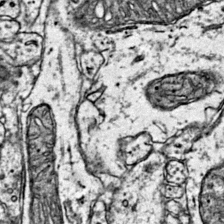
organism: Mouse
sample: Primary visual cortex